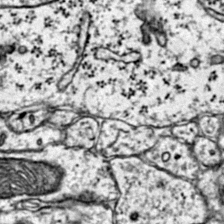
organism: Mouse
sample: Primary visual cortex